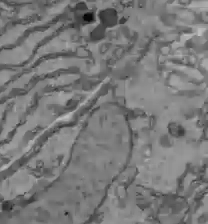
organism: C57BL Mouse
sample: Liver